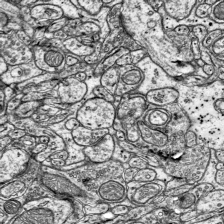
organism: Mouse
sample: Visual Cortex